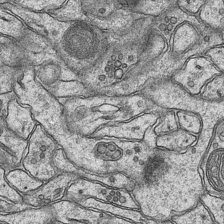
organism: Mouse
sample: CA1 Hippocampus